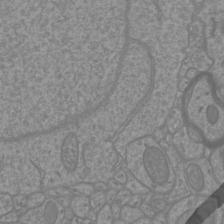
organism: Mouse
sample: Cortical neurons